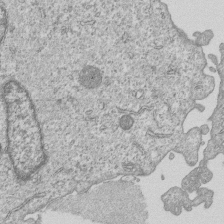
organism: Human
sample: MDA-MB-231 cells